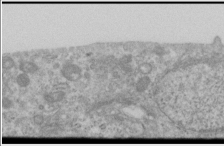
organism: Human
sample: Cilia; basal body in RPE cells